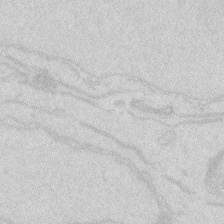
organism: Zebrafish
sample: Macrophage